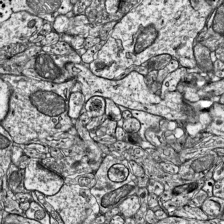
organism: Mouse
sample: Visual Cortex